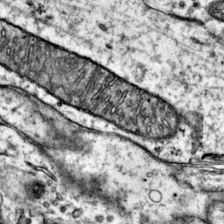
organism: Mouse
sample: Primary visual cortex